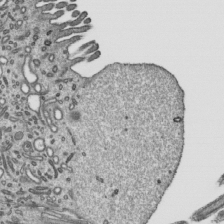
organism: Mouse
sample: Mouse epididymis efferent ductule cilia